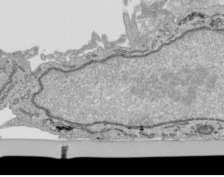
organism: Human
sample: Mitochondria in HCT116 cells